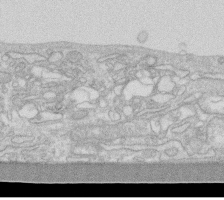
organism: Human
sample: Fibroblast cells